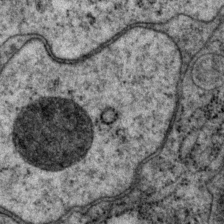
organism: P. pacificus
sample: Pharynx